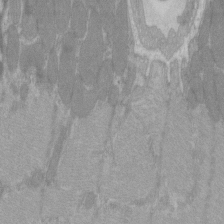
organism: C57BL Mouse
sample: Tibialis anterior muscle cell